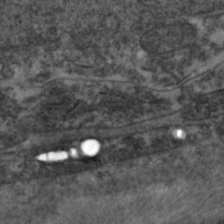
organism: Zebrafish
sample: Zebrafish embryo